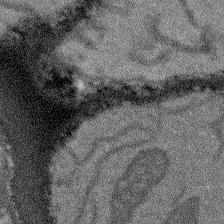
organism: Arabidopsis thaliana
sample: Root tip